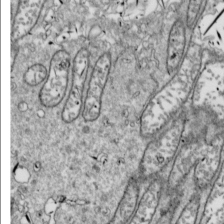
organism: Drosophila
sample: Cell division; meiosis; drosophila spermatocytes